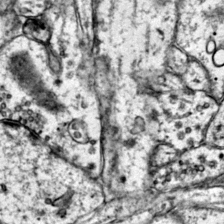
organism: Mouse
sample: Primary visual cortex